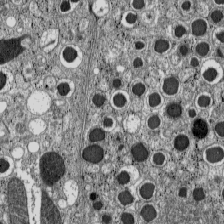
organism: C57BL Mouse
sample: Pancreatic islet